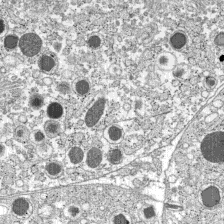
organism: C57BL Mouse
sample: Pancreatic islet